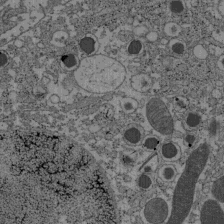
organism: C57BL Mouse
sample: Pancreatic islet